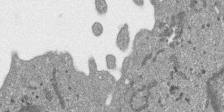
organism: Human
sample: Lung epithelial cells infected with SARS-CoV-2